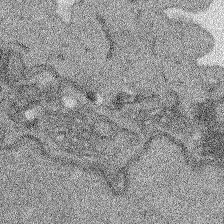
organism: Human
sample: HeLa cells